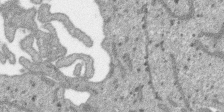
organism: Human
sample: Lung epithelial cells infected with SARS-CoV-2